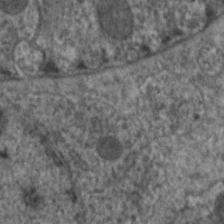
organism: C. elegans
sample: Pharynx